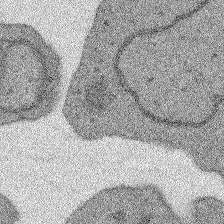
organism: Human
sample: HeLa cells